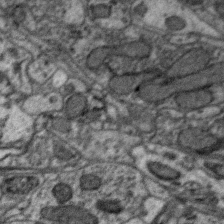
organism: Zebra finch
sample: Brain